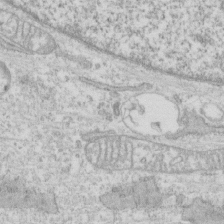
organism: Human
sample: CRL-1474